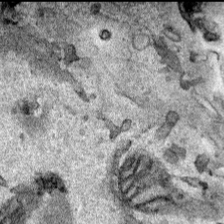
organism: Human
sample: Mitochondria in HCT116 cells